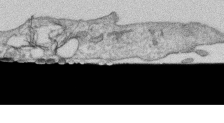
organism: Human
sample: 1205lu cells